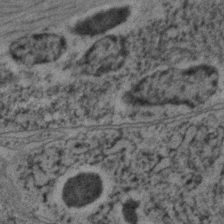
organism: C. elegans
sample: C. elegans embryo